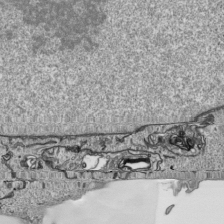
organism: Human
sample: Mitochondria in HCT116 cells